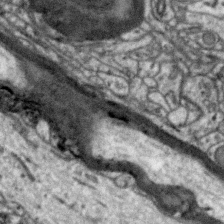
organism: Zebra finch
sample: Brain